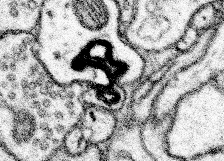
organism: Mouse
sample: Somatosensory cortex neuropil